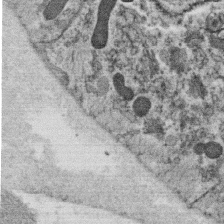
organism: C. elegans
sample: C. elegans oocyte; sperm cells